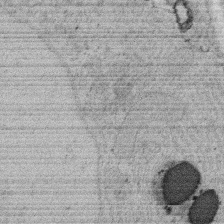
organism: Rat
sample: Salivary granule